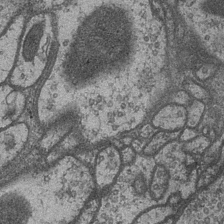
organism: Drosophila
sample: Optic medulla